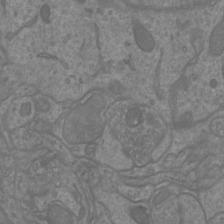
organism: Mouse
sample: Cortical neurons